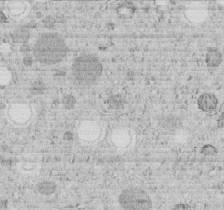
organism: C. elegans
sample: C. elegans embryo early stage